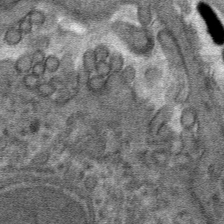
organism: Mouse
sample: Mouse hepatocytes